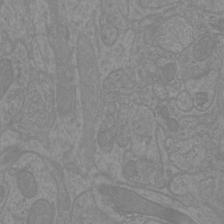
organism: Mouse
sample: Cortical neurons